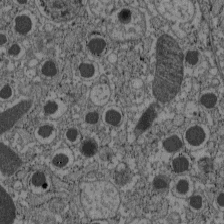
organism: C57BL Mouse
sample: Pancreatic islet